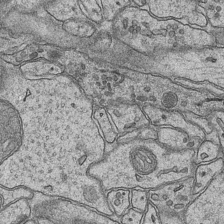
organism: Mouse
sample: CA1 Hippocampus